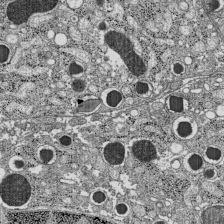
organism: C57BL Mouse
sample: Pancreatic islet